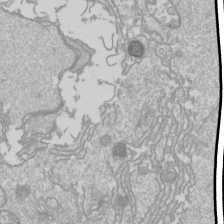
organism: Drosophila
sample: Cell division; meiosis; drosophila spermatocytes